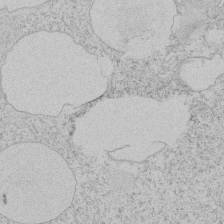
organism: Tetrahymena